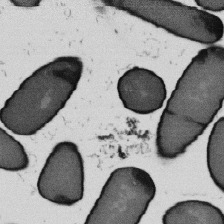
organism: B. subtilis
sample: Bacterial spore